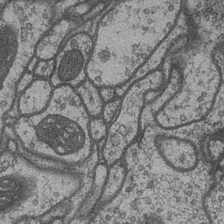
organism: Drosophila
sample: Optic medulla